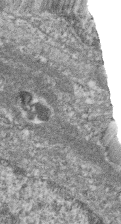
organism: Zebrafish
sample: Cilia; retinal pigment epithelium